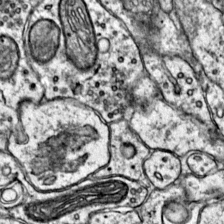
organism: Mouse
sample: Primary visual cortex